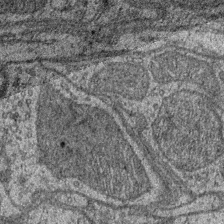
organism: Drosophila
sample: Optic medulla